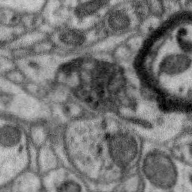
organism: Zebra finch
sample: Brain